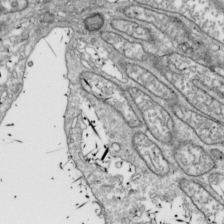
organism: Drosophila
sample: Cell division; meiosis; drosophila spermatocytes